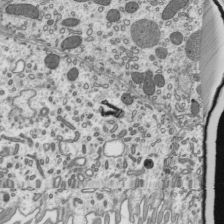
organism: Mouse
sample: Mouse epididymis efferent ductule cilia